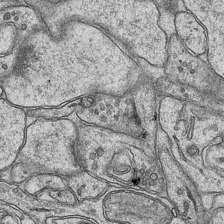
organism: Mouse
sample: CA1 Hippocampus